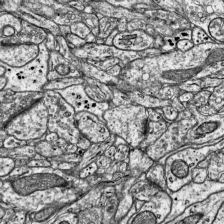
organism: Mouse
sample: Visual Cortex